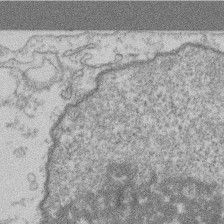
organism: Mouse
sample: T cell stromal cell synapse